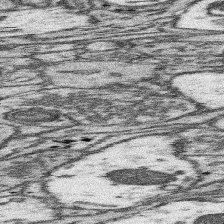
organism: Mouse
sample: Somatosensory cortex neuropil